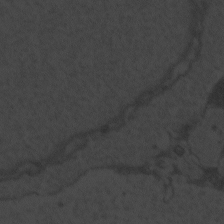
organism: Zebrafish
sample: Macrophage infected with Toxoplasma gondii